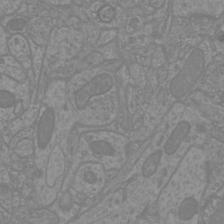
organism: Mouse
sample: Cortical neurons